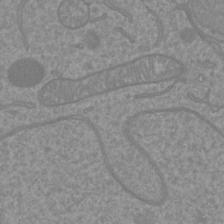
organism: Mouse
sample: Cortical neurons